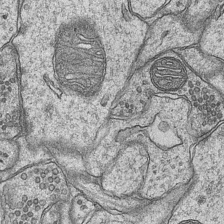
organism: Mouse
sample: CA1 Hippocampus